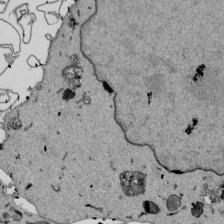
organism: Mouse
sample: ED-1 cell nuclei; centrioles